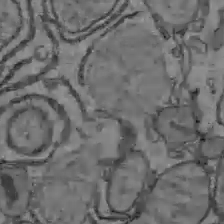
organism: C57BL Mouse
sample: Liver